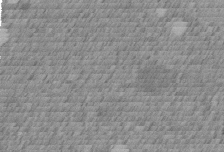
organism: C. elegans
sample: C. elegans embryo early stage